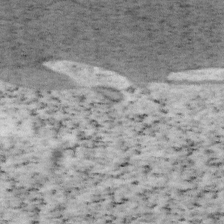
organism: Mouse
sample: OT-I killer T cells with ID8 ovarian cancer cells